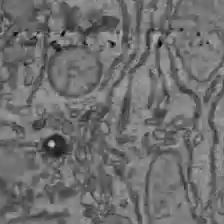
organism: C57BL Mouse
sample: Liver